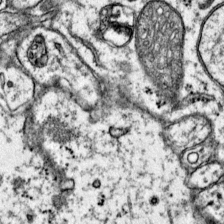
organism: Mouse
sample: Primary visual cortex